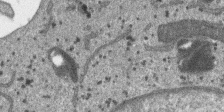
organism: Human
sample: Lung epithelial cells infected with SARS-CoV-2